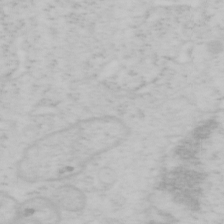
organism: Mouse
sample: OT-I killer T cells with ID8 ovarian cancer cells